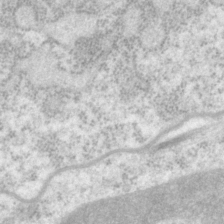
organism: P. pacificus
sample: Pharynx